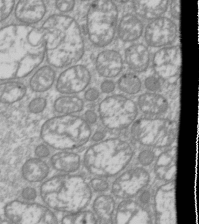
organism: Drosophila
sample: Cell division; meiosis; drosophila spermatocytes